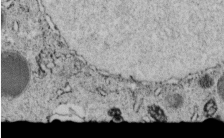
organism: C. elegans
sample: C. elegans embryo early stage